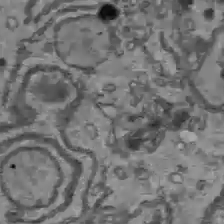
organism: C57BL Mouse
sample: Liver